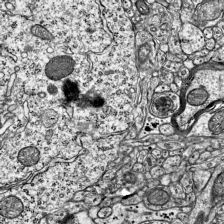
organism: Mouse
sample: Visual Cortex